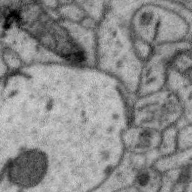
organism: Zebra finch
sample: Brain